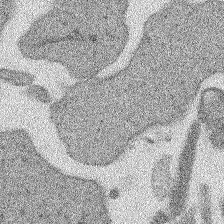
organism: Human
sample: HeLa cells